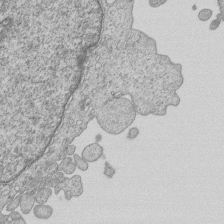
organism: Human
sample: MDA-MB-231 cells